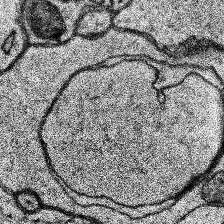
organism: Human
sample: Temporal Lobe